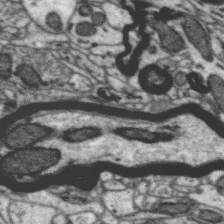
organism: Zebra finch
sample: Brain